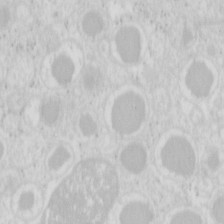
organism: Mouse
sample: Pancreas